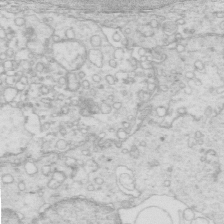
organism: Mouse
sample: Multiciliated cells